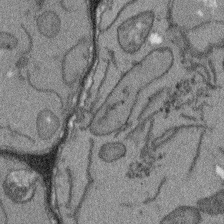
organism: Arabidopsis thaliana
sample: Root tip